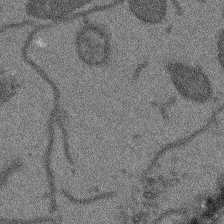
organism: Arabidopsis thaliana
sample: Root tip